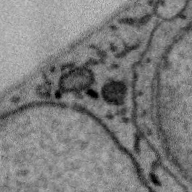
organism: Zebra finch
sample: Brain